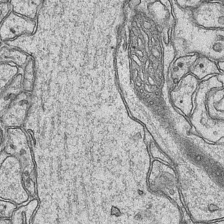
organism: Mouse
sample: CA1 Hippocampus